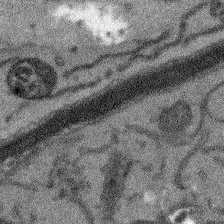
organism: Arabidopsis thaliana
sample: Root tip